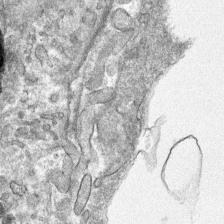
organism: Mouse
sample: Mouse hepatocytes